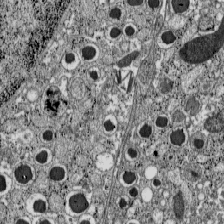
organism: C57BL Mouse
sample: Pancreatic islet